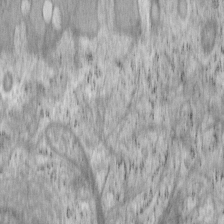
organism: Human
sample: HeLa cells